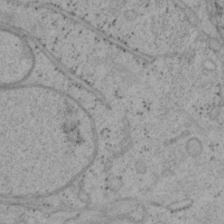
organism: Human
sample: HeLa cells